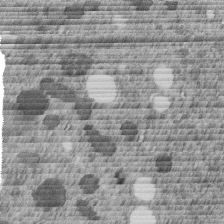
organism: C. elegans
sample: C. elegans embryo early stage